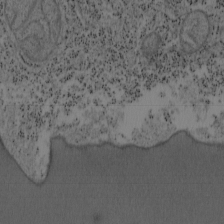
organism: Mouse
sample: OT-I killer T cells with ID8 ovarian cancer cells